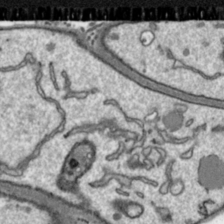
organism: Toxoplasma gondii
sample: Parasites in a vacuole inside a host cell